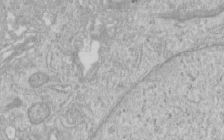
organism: Human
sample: Centriole in RPE cells